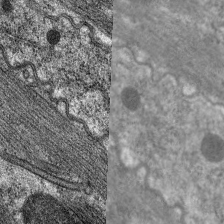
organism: C. elegans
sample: Pharynx